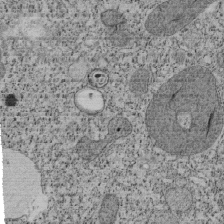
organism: Tetrahymena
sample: Cilia in tetrahymena